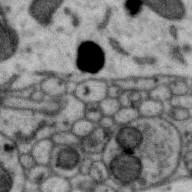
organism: Zebra finch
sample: Brain